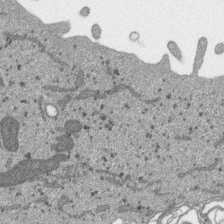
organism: Human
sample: Lung epithelial cells infected with SARS-CoV-2